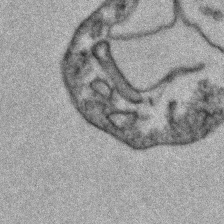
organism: Zebrafish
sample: Zebrafish embryo